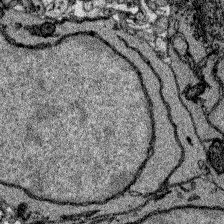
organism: Zebrafish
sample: Larval olfactory bulb